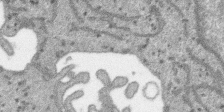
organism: Human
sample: Lung epithelial cells infected with SARS-CoV-2